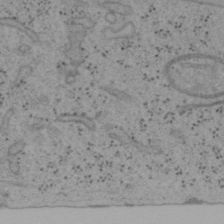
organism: Human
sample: HeLa cells